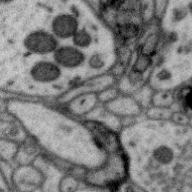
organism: Zebra finch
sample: Brain